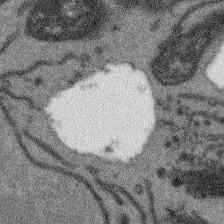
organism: Arabidopsis thaliana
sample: Root tip